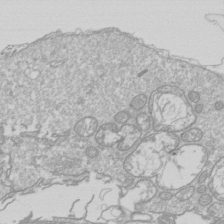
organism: Drosophila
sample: Cell division; meiosis; drosophila spermatocytes